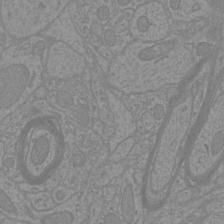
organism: Mouse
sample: Cortical neurons